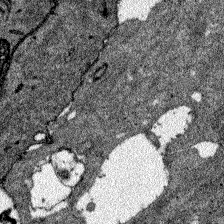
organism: Zebrafish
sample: Larval olfactory bulb